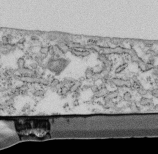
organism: Mouse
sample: Cilia; retinal pigment epithelium